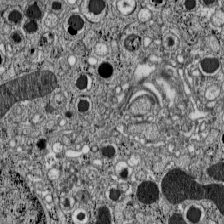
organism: C57BL Mouse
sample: Pancreatic islet